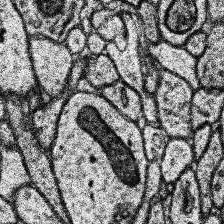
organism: Human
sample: Temporal Lobe